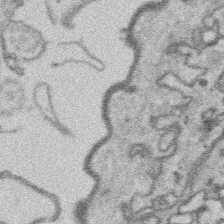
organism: Platynereis dumerilii